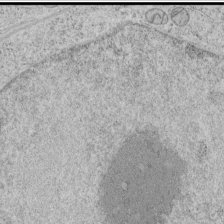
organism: Human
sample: Mitochondria in HCT116 cells